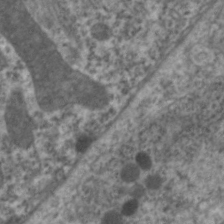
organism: C. elegans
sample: Pharynx